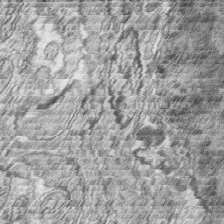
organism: Zebrafish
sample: synaptic ribbons in rod cells and cone cells